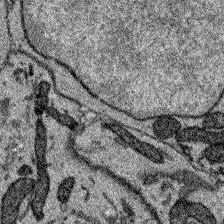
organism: Zebrafish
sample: Larval olfactory bulb